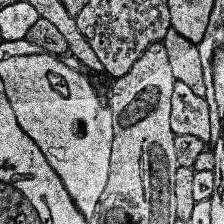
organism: Human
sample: Temporal Lobe